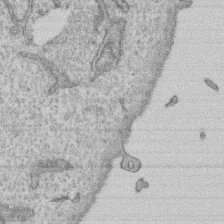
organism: Human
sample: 1205lu cells